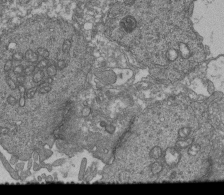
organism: Human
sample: Retinal organoid Rod and Cone cells